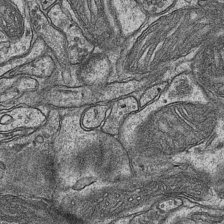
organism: Mouse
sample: CA1 Hippocampus